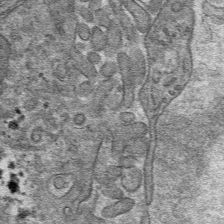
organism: Mouse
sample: Mouse hepatocytes